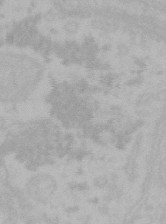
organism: Mouse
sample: Choroid plexus